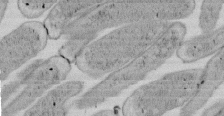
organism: E. coli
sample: Bacterial nucleoid